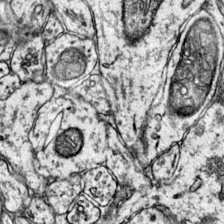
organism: Mouse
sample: Primary visual cortex